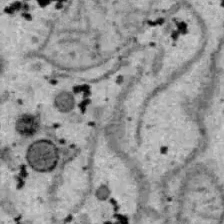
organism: Mouse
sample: Liver from an obese (ob/ob) mouse